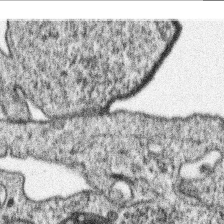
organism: Human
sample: HeLa cells